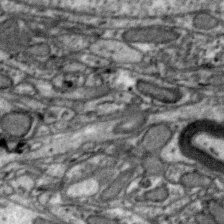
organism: Zebra finch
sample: Brain